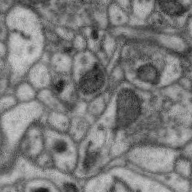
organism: Zebra finch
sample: Brain